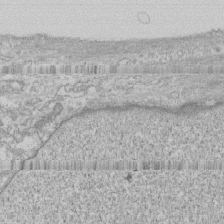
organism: Human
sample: CRL-1474